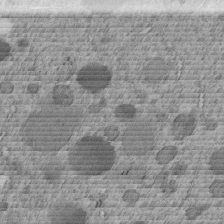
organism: C. elegans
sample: C. elegans embryo early stage